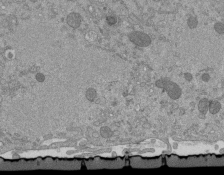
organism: Mouse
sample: ED-1 cell nuclei; centrioles